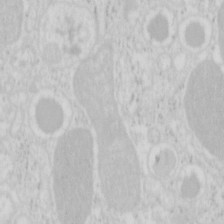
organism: Mouse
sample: Pancreas